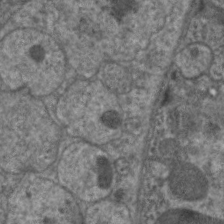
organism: C. elegans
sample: Pharynx